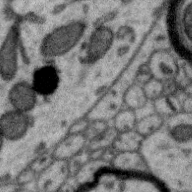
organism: Zebra finch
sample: Brain